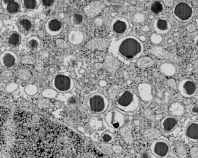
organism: C57BL Mouse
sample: Pancreatic islet